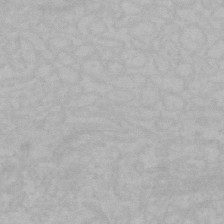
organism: Mouse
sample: Choroid plexus